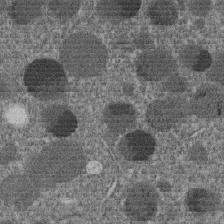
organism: C. elegans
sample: C. elegans embryo early stage